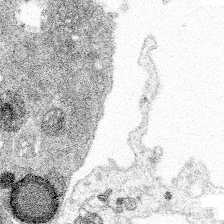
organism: Spongilla lacustris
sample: Multiple